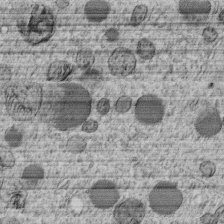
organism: C. elegans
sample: C. elegans embryo early stage